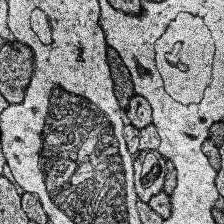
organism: Human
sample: Temporal Lobe